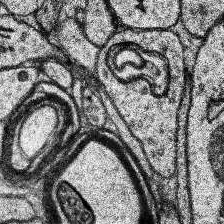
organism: Human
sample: Temporal Lobe